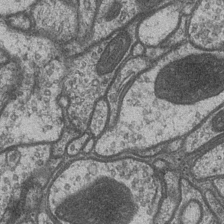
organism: Drosophila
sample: Optic medulla